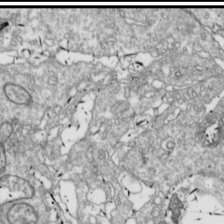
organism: Drosophila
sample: Cell division; meiosis; drosophila spermatocytes